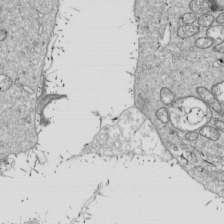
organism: Drosophila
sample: Cell division; meiosis; drosophila spermatocytes